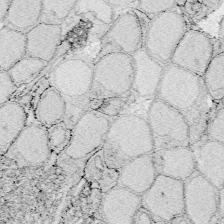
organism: Zebrafish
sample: Whole-Brain